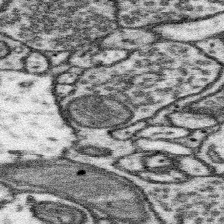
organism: Mouse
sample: Somatosensory cortex neuropil